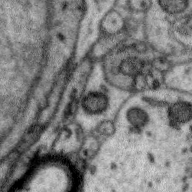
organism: Zebra finch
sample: Brain